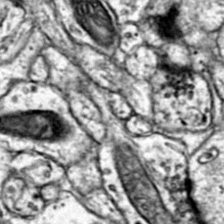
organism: Mouse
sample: Primary visual cortex